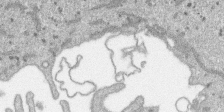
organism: Human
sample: Lung epithelial cells infected with SARS-CoV-2